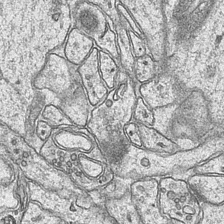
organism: Mouse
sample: CA1 Hippocampus